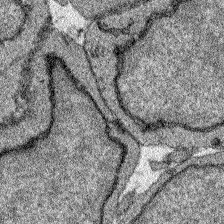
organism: Zebrafish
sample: Larval olfactory bulb